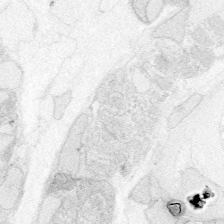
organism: Zebrafish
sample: Whole-Brain